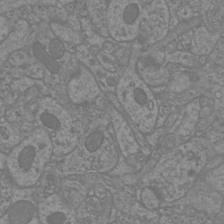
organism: Mouse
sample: Cortical neurons